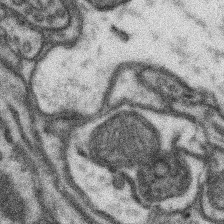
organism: Mouse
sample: Somatosensory cortex neuropil